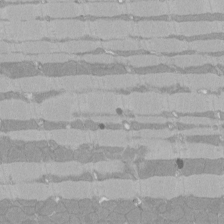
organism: Rat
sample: Left ventricle